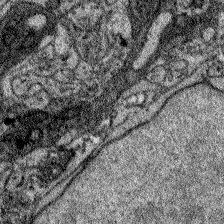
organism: Zebrafish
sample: Larval olfactory bulb